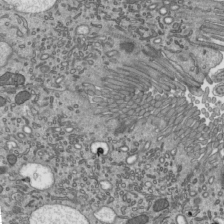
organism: Mouse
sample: Mouse epididymis efferent ductule cilia